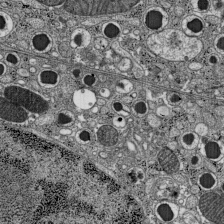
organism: C57BL Mouse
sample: Pancreatic islet